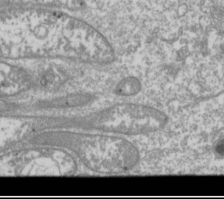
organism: Drosophila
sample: Cell division; meiosis; drosophila spermatocytes